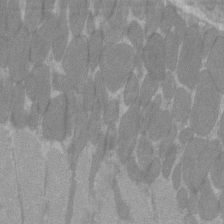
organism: C57BL Mouse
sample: Tibialis anterior muscle cell